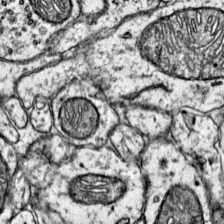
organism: Mouse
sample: Primary visual cortex